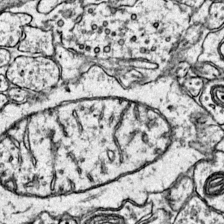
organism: Mouse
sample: Primary visual cortex